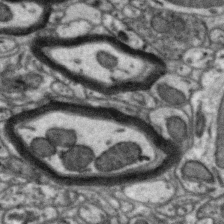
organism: Zebra finch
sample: Brain